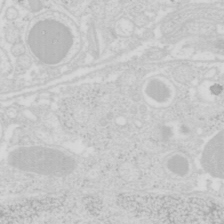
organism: Mouse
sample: Pancreas